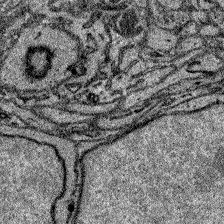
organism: Zebrafish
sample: Larval olfactory bulb